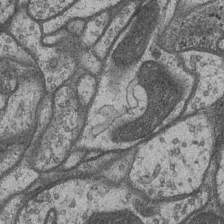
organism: Drosophila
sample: Optic medulla